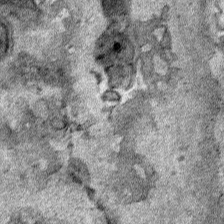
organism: Human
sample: Mitochondria in HCT116 cells